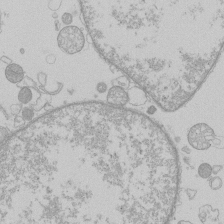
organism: Human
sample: Macrophage cells